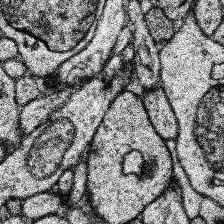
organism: Human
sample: Temporal Lobe